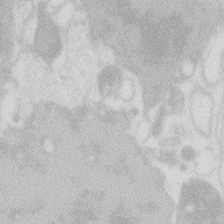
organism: Zebrafish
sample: Macrophage